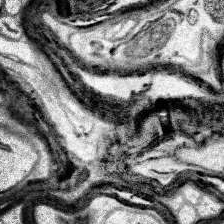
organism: Human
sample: Temporal Lobe